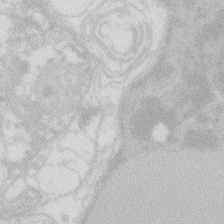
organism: Zebrafish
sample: Macrophage